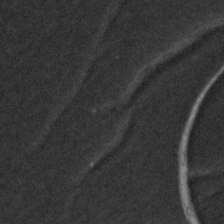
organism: Zebrafish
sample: Zebrafish embryo